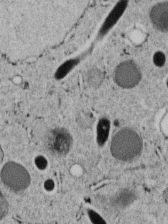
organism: C. elegans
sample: C. elegans embryo early stage